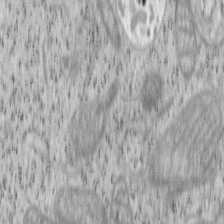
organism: Human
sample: HeLa cells